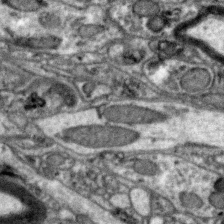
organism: Zebra finch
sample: Brain